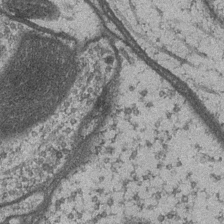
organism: Drosophila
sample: Optic medulla